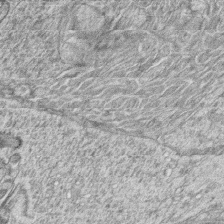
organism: Zebrafish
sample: synaptic ribbons in rod cells and cone cells